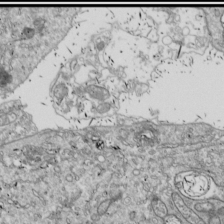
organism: Drosophila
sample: Cell division; meiosis; drosophila spermatocytes